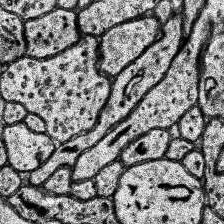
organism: Human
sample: Temporal Lobe